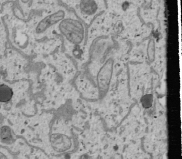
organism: Human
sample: Mitochondria in U2OS cells